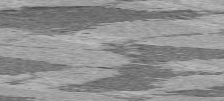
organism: C57BL Mouse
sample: Heart